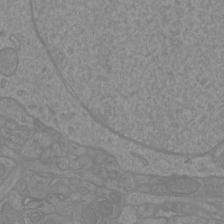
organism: Mouse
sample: Cortical neurons